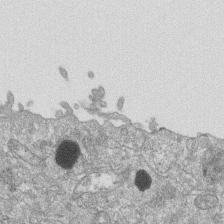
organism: Human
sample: HeLa cell HIV synapse